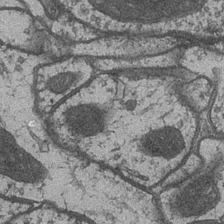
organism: Drosophila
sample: Optic medulla